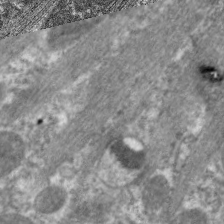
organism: C. elegans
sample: Pharynx